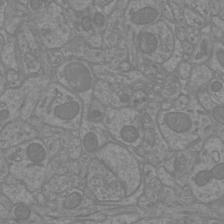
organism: Mouse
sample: Cortical neurons